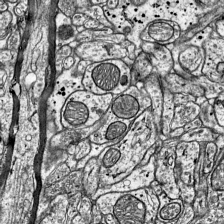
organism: Mouse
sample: Visual Cortex